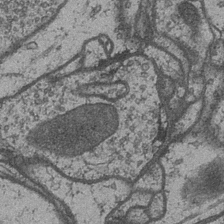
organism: Drosophila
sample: Optic medulla